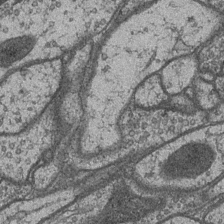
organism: Drosophila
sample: Optic medulla